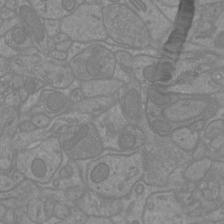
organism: Mouse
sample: Cortical neurons